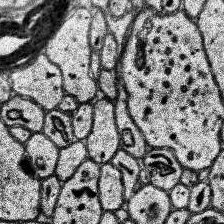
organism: Human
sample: Temporal Lobe